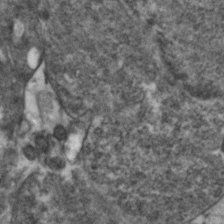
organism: Zebrafish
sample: Zebrafish embryo